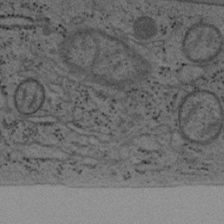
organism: Human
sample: HeLa cells